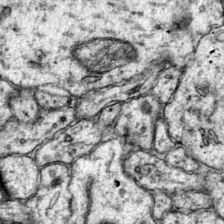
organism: Mouse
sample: Primary visual cortex